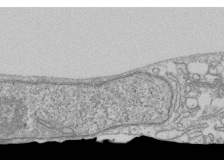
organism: Human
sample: Fibroblast cells